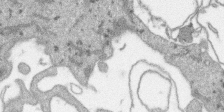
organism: Human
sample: Lung epithelial cells infected with SARS-CoV-2